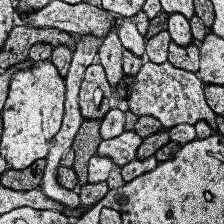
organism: Human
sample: Temporal Lobe